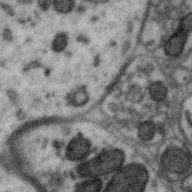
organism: Zebra finch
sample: Brain